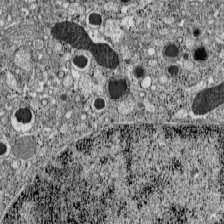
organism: C57BL Mouse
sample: Pancreatic islet